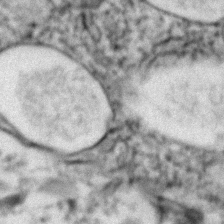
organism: Zebrafish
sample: Zebrafish embryo